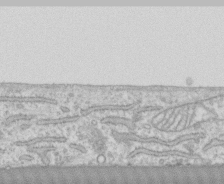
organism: Human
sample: CRL-1474